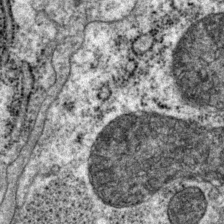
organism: P. pacificus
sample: Pharynx